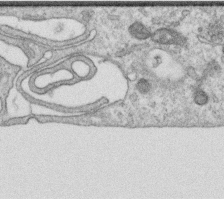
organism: Human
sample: Centriole in RPE cells